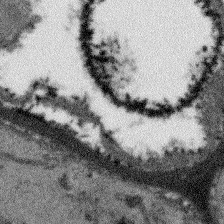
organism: Arabidopsis thaliana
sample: Root tip